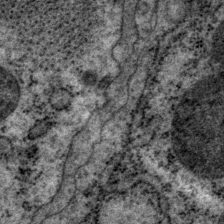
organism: P. pacificus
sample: Pharynx